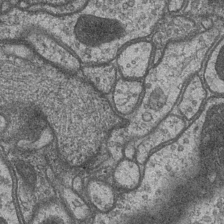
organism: Drosophila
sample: Optic medulla